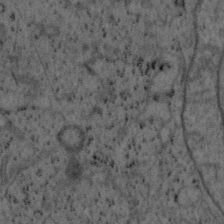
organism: Human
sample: HeLa cells